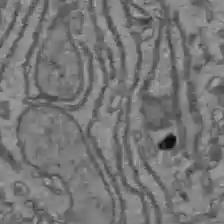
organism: C57BL Mouse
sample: Liver